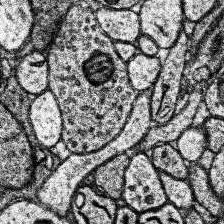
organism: Human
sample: Temporal Lobe